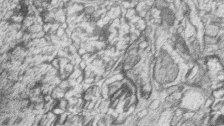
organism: Zebrafish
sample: synaptic ribbons in rod cells and cone cells